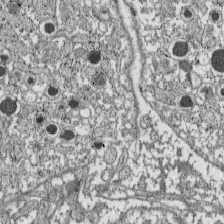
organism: C57BL Mouse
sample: Pancreatic islet